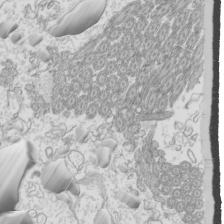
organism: Mouse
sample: Cilia; mouse epididymis